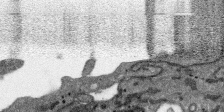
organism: Human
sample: Lung epithelial cells, uninfected (mock) control